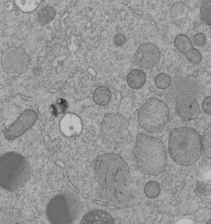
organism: C. elegans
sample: C. elegans embryo early stage